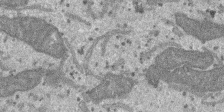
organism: Human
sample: Lung epithelial cells infected with SARS-CoV-2